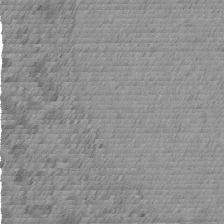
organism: C. elegans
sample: C. elegans embryo early stage